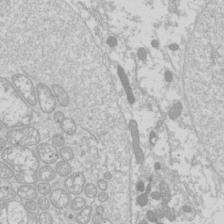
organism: Drosophila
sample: Cell division; meiosis; drosophila spermatocytes